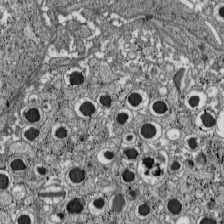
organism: C57BL Mouse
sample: Pancreatic islet